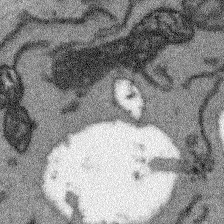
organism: Arabidopsis thaliana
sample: Root tip